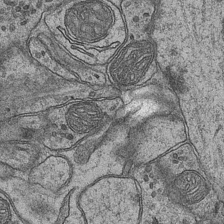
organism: Mouse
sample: CA1 Hippocampus